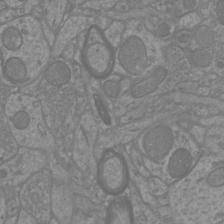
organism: Mouse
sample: Cortical neurons